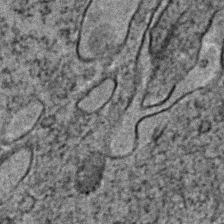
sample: Trachea